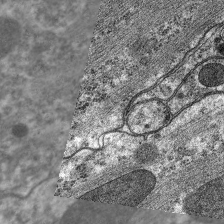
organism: C. elegans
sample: Pharynx